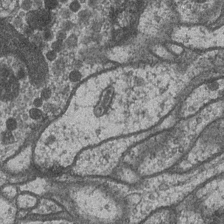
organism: Drosophila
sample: Optic medulla